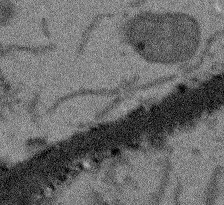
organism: Arabidopsis thaliana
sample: Root tip